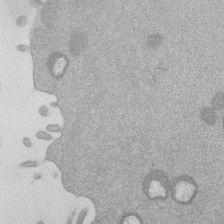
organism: Mouse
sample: Dividing mouse embryo 1 cell stage